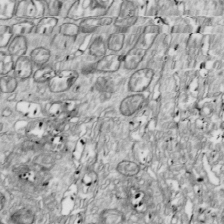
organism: Drosophila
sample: Cell division; meiosis; drosophila spermatocytes